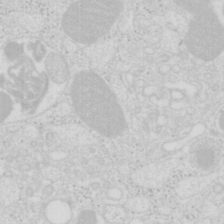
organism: Mouse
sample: Pancreas